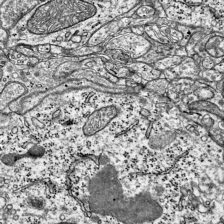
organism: Mouse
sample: Visual Cortex